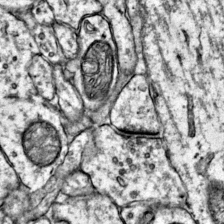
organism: Mouse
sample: Primary visual cortex